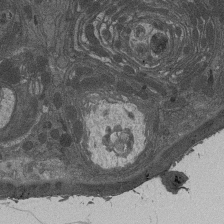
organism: Drosophila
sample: Antenna